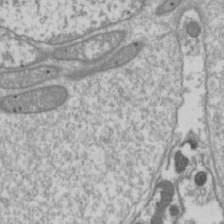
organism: Drosophila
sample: Cell division; meiosis; drosophila spermatocytes